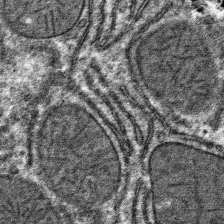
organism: Mouse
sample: Mouse hepatocytes